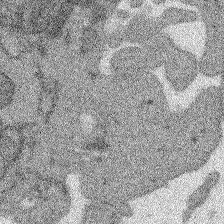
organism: Human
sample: HeLa cells